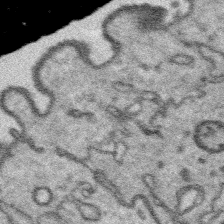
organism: Platynereis dumerilii